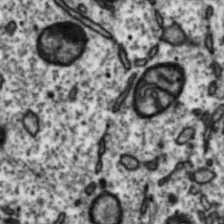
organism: Human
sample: HeLa cells